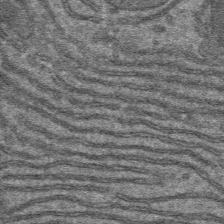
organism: Mouse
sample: Mouse hepatocytes